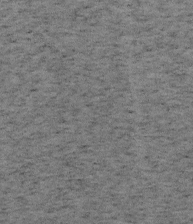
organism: Mouse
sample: OT-I killer T cells with ID8 ovarian cancer cells